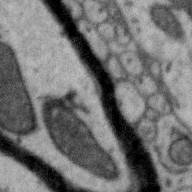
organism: Zebra finch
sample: Brain